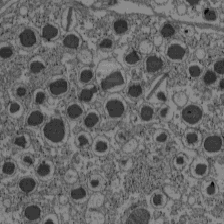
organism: C57BL Mouse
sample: Pancreatic islet